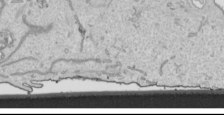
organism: Human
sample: Mitochondria in HCT116 cells